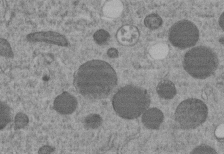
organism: C. elegans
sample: C. elegans embryo early stage